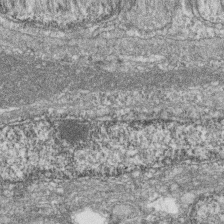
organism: Zebrafish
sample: Cilia; retinal pigment epithelium